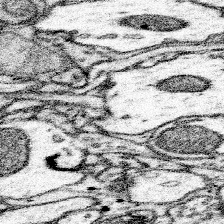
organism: Mouse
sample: Somatosensory cortex neuropil